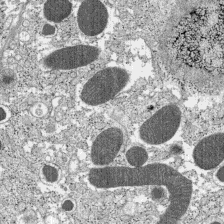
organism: C57BL Mouse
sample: Pancreatic islet